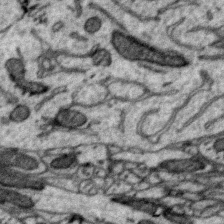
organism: Zebra finch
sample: Brain